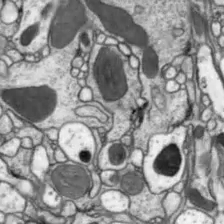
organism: Drosophila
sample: Optic lobe